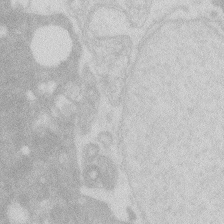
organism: Zebrafish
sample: Macrophage